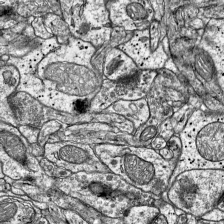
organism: Mouse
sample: Visual Cortex